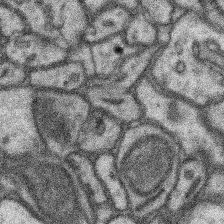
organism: Mouse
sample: Somatosensory cortex neuropil